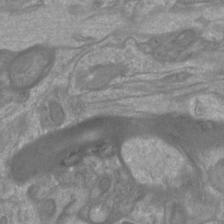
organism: Mouse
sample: Cortical neurons